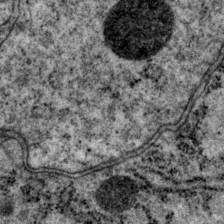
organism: P. pacificus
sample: Pharynx